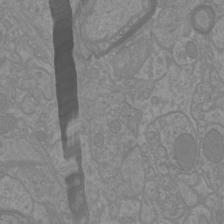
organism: Mouse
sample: Cortical neurons